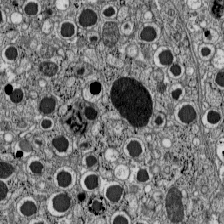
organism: C57BL Mouse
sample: Pancreatic islet